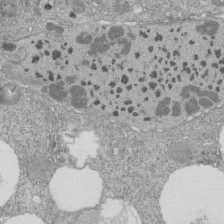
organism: Tetrahymena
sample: Cilia in tetrahymena